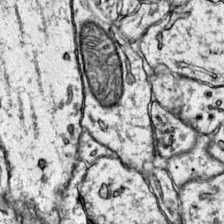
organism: Mouse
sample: Primary visual cortex